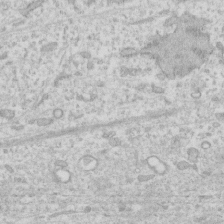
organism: Human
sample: Fibroblast cells